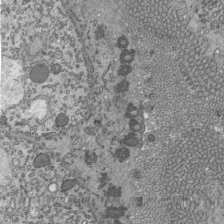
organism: Mouse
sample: Mouse epididymis efferent ductule cilia